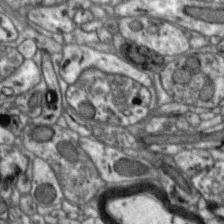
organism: Zebra finch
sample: Brain